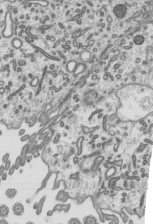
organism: Mouse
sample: Mouse epididymis efferent ductule cilia